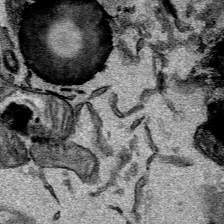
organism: Mouse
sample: Cancer cell death in ED-1 cells